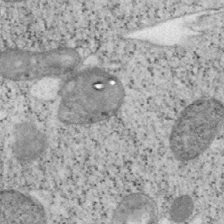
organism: Mouse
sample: OT-I killer T cells with ID8 ovarian cancer cells